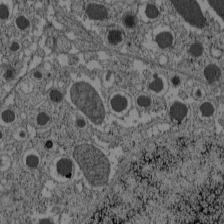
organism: C57BL Mouse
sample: Pancreatic islet